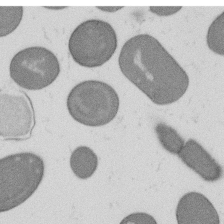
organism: B. subtilis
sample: Bacterial spore